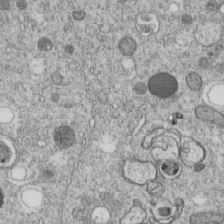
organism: C. elegans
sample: C. elegans embryo early stage